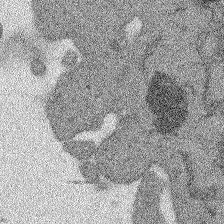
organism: Human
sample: HeLa cells